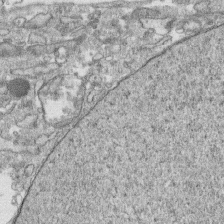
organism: Human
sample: CRL-1474